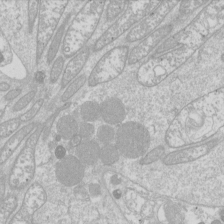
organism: Drosophila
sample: Cell division; meiosis; drosophila spermatocytes